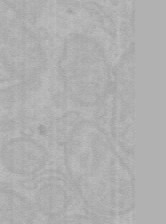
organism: Mouse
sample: Choroid plexus